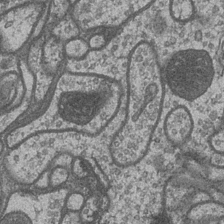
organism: Drosophila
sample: Optic medulla